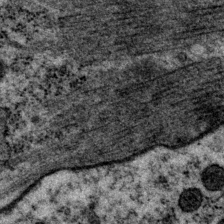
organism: P. pacificus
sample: Pharynx